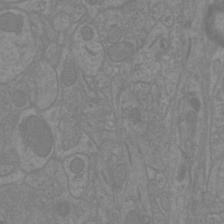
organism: Mouse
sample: Cortical neurons